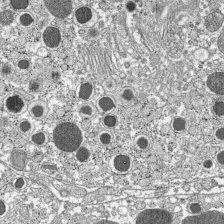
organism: C57BL Mouse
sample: Pancreatic islet